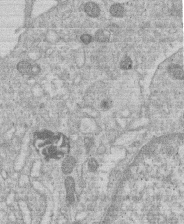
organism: Human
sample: Macrophage cells